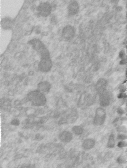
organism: Human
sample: Centriole in RPE cells